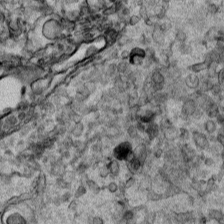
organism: Human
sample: Mitochondria in HCT116 cells